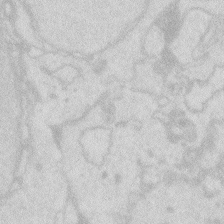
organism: Zebrafish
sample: Macrophage